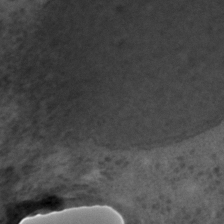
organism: C. elegans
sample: C. elegans embryo